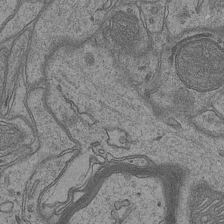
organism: Mouse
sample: CA1 Hippocampus